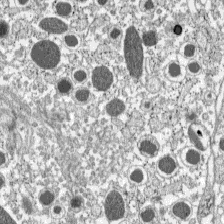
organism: C57BL Mouse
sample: Pancreatic islet